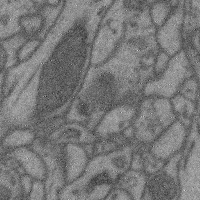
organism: Mouse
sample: Cerebral cortex